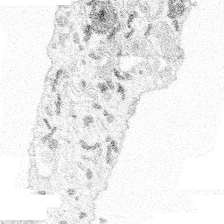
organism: Spongilla lacustris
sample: Multiple